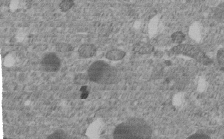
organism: C. elegans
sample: C. elegans embryo early stage